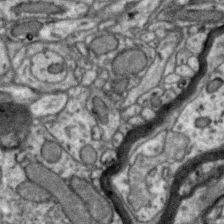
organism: Zebra finch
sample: Brain